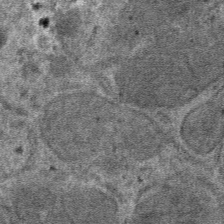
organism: Mouse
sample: Mouse hepatocytes